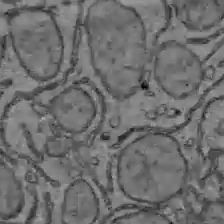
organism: C57BL Mouse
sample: Liver